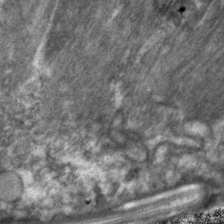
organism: C. elegans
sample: Pharynx